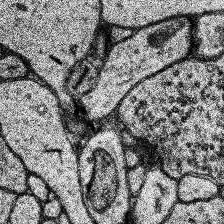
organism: Human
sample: Temporal Lobe